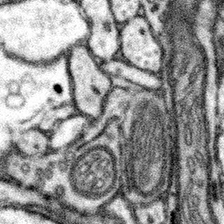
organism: Mouse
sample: Somatosensory cortex neuropil